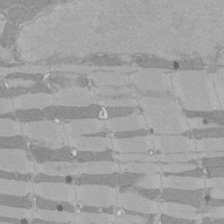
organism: Rat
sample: Left ventricle